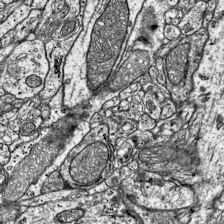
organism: Mouse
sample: Visual Cortex